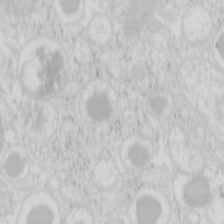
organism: Mouse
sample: Pancreas